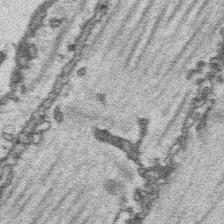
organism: Platynereis dumerilii